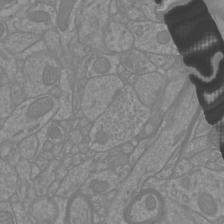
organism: Mouse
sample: Cortical neurons